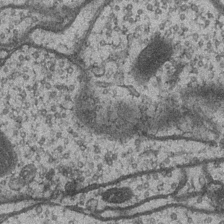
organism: Drosophila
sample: Optic medulla